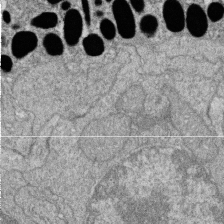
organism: Zebrafish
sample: Cilia; retinal pigment epithelium